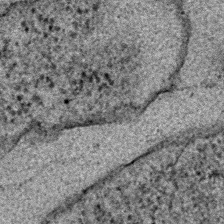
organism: E. coli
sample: E. Coli Bacteria